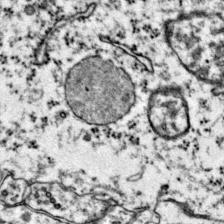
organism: Mouse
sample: Primary visual cortex